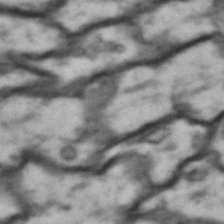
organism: Drosophila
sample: Brain